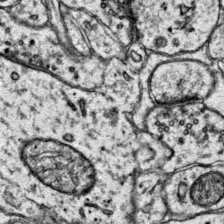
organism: Mouse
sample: Primary visual cortex